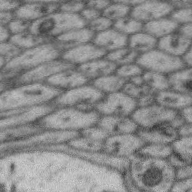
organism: Zebra finch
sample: Brain